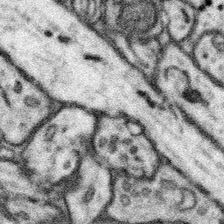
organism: Mouse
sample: Somatosensory cortex neuropil